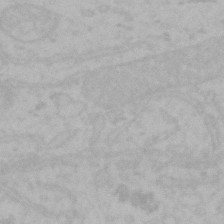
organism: Mouse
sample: Choroid plexus